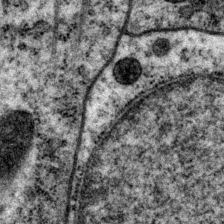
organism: P. pacificus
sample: Pharynx